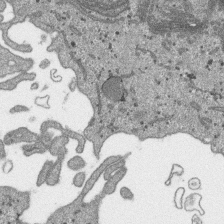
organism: Human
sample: Lung epithelial cells infected with SARS-CoV-2